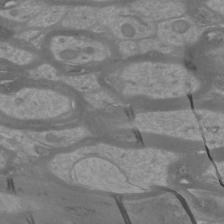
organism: Mouse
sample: Cortical neurons